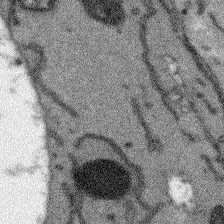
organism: Arabidopsis thaliana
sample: Root tip